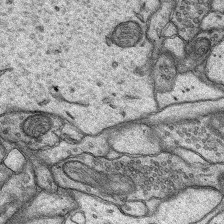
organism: Rat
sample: Hippocampus